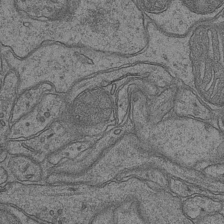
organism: Mouse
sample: CA1 Hippocampus